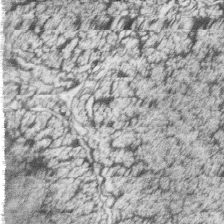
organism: Zebrafish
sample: synaptic ribbons in rod cells and cone cells